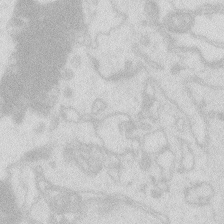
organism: Zebrafish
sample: Macrophage